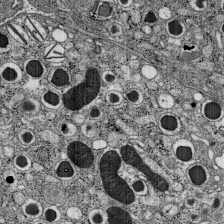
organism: C57BL Mouse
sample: Pancreatic islet